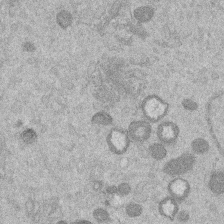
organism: Mouse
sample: Dividing mouse embryo 1 cell stage